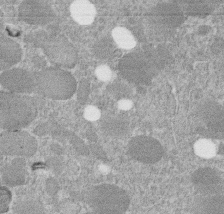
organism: C. elegans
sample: C. elegans embryo early stage